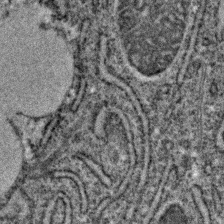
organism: C. elegans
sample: C. elegans embryo